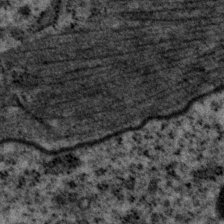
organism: P. pacificus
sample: Pharynx